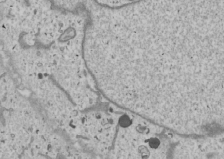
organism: Human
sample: Mitochondria in U2OS cells